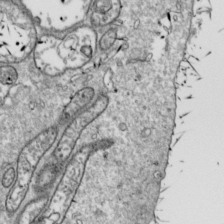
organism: Drosophila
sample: Cell division; meiosis; drosophila spermatocytes